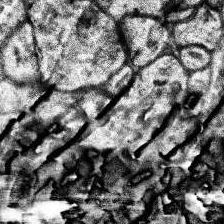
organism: Human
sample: Temporal Lobe